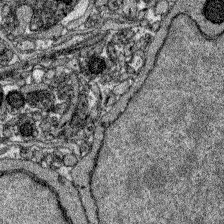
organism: Zebrafish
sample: Larval olfactory bulb